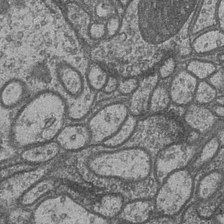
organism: Drosophila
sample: Optic medulla